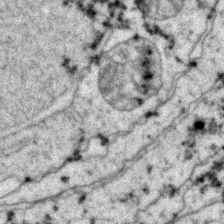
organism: Zebrafish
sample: Zebrafish embryo